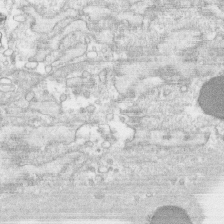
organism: Human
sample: CRL-1474